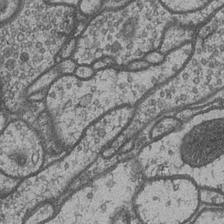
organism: Drosophila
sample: Optic medulla